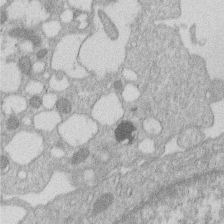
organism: Human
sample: Macrophage cells